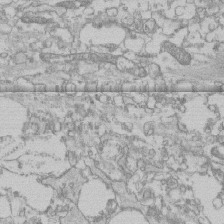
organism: Human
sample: CRL-1474